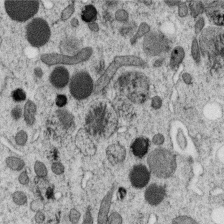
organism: C. elegans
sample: C. elegans oocyte; sperm cells